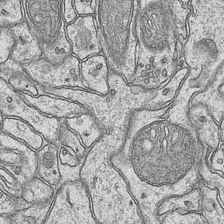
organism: Mouse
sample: CA1 Hippocampus